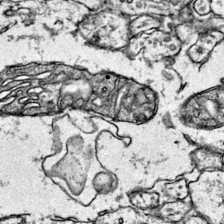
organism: Mouse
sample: Primary visual cortex